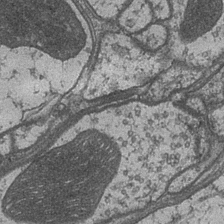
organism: Drosophila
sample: Optic medulla